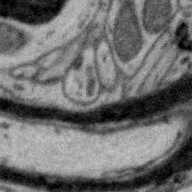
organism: Zebra finch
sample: Brain